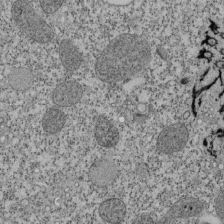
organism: Tetrahymena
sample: Cilia in tetrahymena